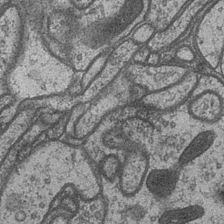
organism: Drosophila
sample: Optic medulla